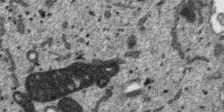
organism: Human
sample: Lung epithelial cells infected with SARS-CoV-2